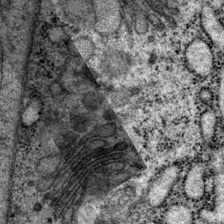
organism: P. pacificus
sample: Pharynx